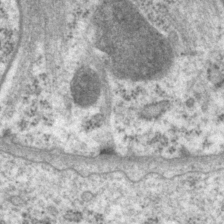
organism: P. pacificus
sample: Pharynx